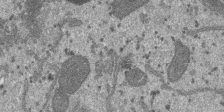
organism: Human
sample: Lung epithelial cells infected with SARS-CoV-2